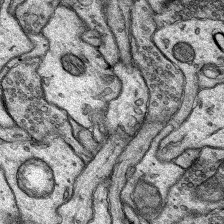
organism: Rat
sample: Hippocampus